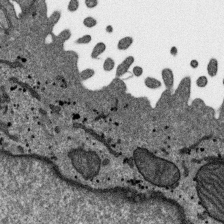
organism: Human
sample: Lung epithelial cells, uninfected (mock) control